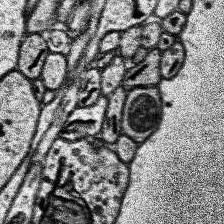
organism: Human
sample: Temporal Lobe